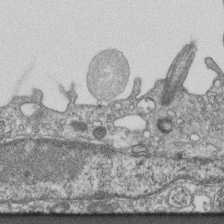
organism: Mouse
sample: Centriole in ependymal cells